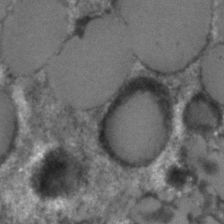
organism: C. elegans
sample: C. elegans embryo